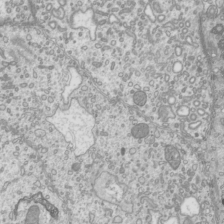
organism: Mouse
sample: Cilia; mouse epididymis